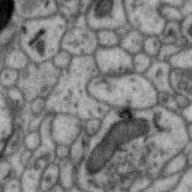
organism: Zebra finch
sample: Brain